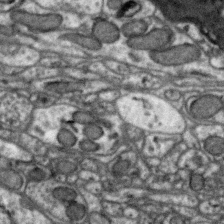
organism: Zebra finch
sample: Brain